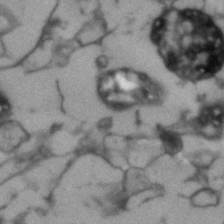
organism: Human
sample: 1205lu cells